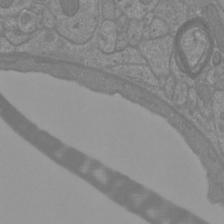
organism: Mouse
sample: Cortical neurons